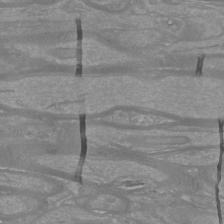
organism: Mouse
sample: Cortical neurons